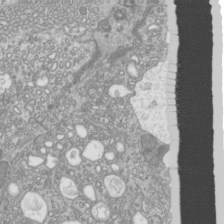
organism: Mouse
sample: Cilia; mouse epididymis